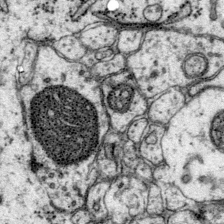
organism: Mouse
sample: Primary visual cortex